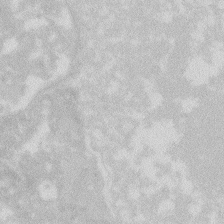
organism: Zebrafish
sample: Macrophage